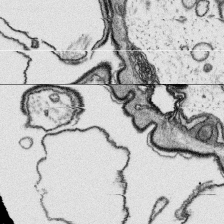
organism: Platynereis dumerilii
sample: Parapodia